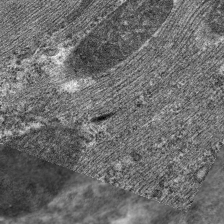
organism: C. elegans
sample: Pharynx